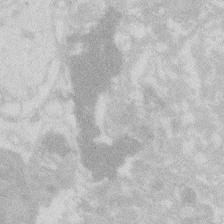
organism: Zebrafish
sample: Macrophage